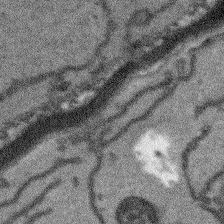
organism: Arabidopsis thaliana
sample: Root tip